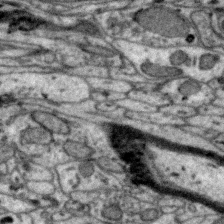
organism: Zebra finch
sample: Brain